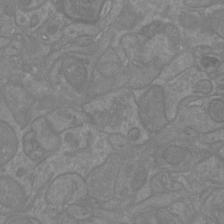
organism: Mouse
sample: Cortical neurons